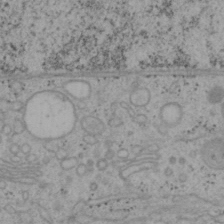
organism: Human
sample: HeLa cells